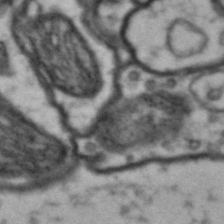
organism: Drosophila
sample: Brain